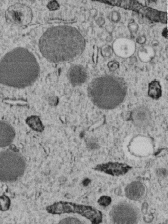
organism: C. elegans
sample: C. elegans embryo early stage